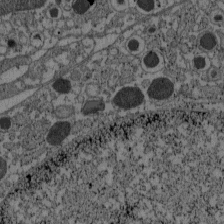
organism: C57BL Mouse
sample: Pancreatic islet